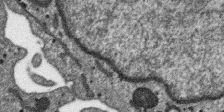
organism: Human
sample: Lung epithelial cells infected with SARS-CoV-2